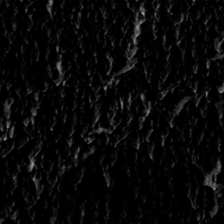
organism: Toxoplasma gondii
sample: Parasites in a vacuole inside a host cell